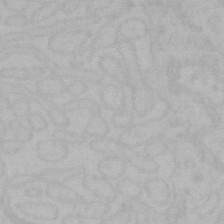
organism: Mouse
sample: Choroid plexus